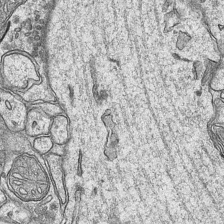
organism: Mouse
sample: CA1 Hippocampus